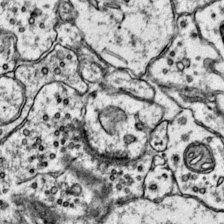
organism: Mouse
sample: Primary visual cortex